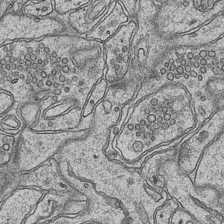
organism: Mouse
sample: CA1 Hippocampus